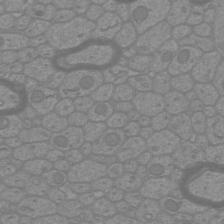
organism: Mouse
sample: Cortical neurons